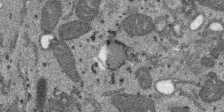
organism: Human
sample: Lung epithelial cells infected with SARS-CoV-2